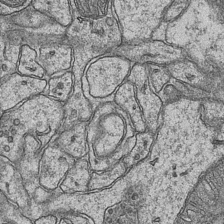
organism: Mouse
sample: CA1 Hippocampus